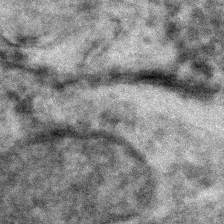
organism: C. elegans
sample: C. elegans embryo